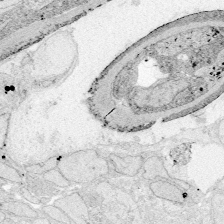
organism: Zebrafish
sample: Whole-Brain